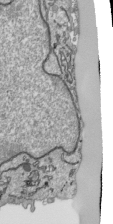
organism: Human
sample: Mitochondria in HCT116 cells